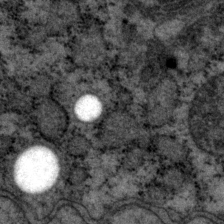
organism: P. pacificus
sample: Pharynx